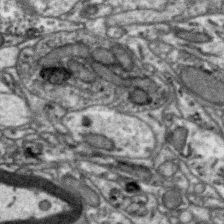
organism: Zebra finch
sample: Brain